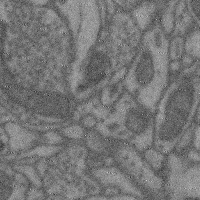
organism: Mouse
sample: Cerebral cortex